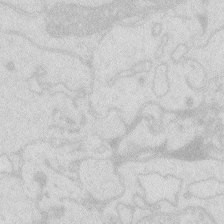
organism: Zebrafish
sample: Macrophage